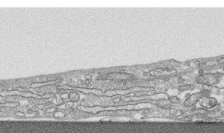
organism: Human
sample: CRL-1474